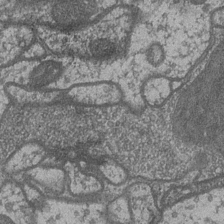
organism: Drosophila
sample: Optic medulla